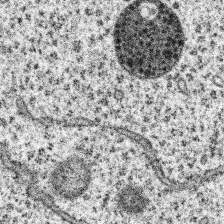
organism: Human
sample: HeLa cells